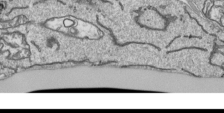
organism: Human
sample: Mitochondria in HCT116 cells